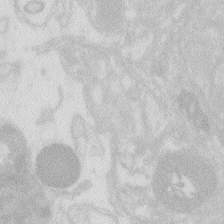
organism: Zebrafish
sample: Macrophage